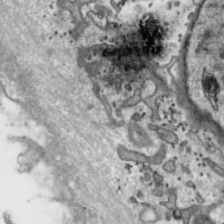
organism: Toxoplasma gondii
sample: Parasites in a vacuole inside a host cell